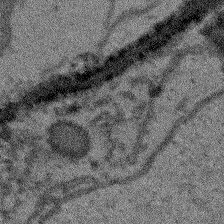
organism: Arabidopsis thaliana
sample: Root tip